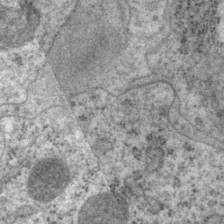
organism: P. pacificus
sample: Pharynx